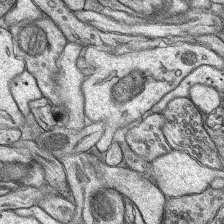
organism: Rat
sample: Hippocampus